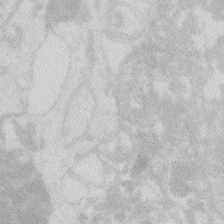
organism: Zebrafish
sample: Macrophage